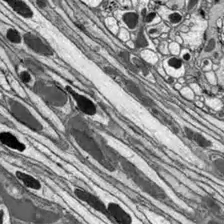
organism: Drosophila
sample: Optic lobe